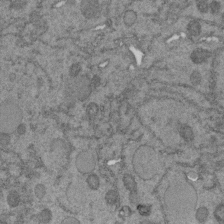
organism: C. elegans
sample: C. elegans embryo early stage